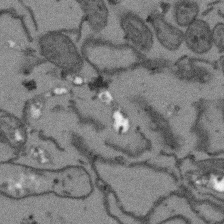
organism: Arabidopsis thaliana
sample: Root tip